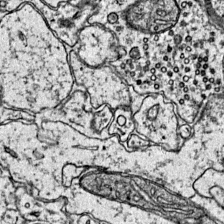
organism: Mouse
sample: Primary visual cortex